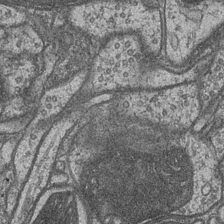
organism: Drosophila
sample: Optic medulla